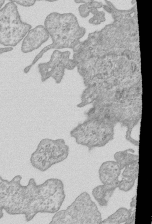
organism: Human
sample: MDA-MB-231 cells